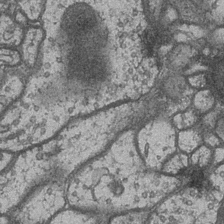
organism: Drosophila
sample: Optic medulla